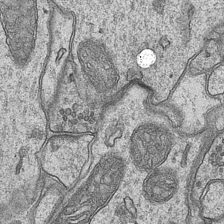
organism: Mouse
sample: CA1 Hippocampus